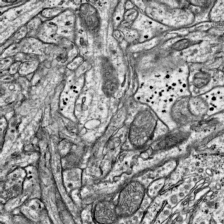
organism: Mouse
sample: Visual Cortex